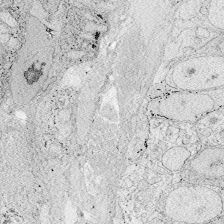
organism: Zebrafish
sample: Whole-Brain